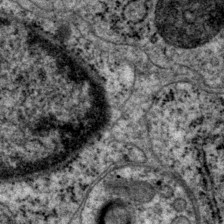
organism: P. pacificus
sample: Pharynx